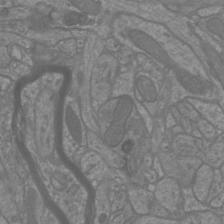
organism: Mouse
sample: Cortical neurons